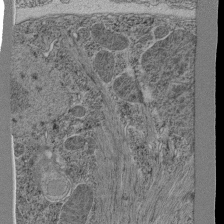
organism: C. elegans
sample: C. elegans pharynx